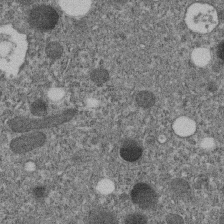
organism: C. elegans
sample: C. elegans embryo early stage